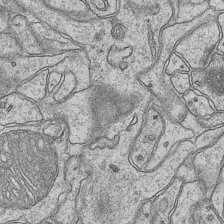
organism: Mouse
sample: CA1 Hippocampus